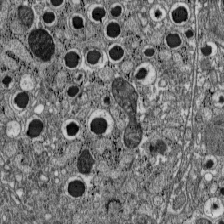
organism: C57BL Mouse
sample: Pancreatic islet